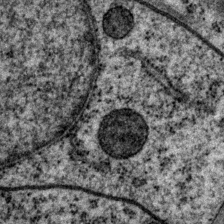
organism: P. pacificus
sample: Pharynx